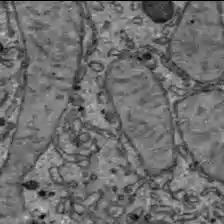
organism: C57BL Mouse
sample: Liver